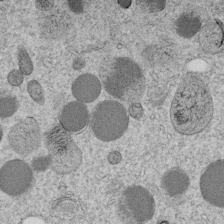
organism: C. elegans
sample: C. elegans embryo early stage